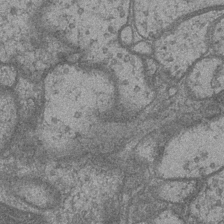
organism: Drosophila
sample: Optic medulla